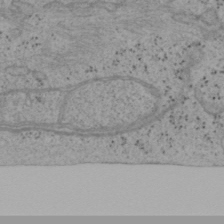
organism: Human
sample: HeLa cells